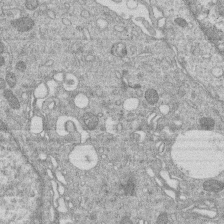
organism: Human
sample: Macrophage cells